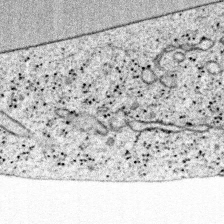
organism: Human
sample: HeLa cells